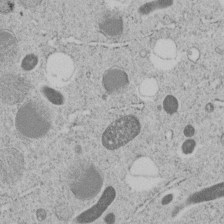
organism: C. elegans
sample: C. elegans embryo early stage